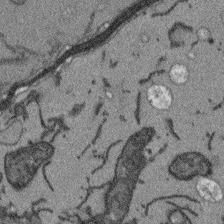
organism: Arabidopsis thaliana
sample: Root tip